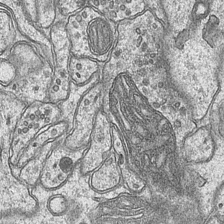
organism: Mouse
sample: CA1 Hippocampus